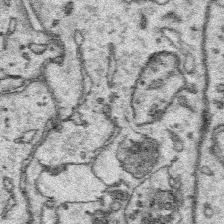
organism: Platynereis dumerilii